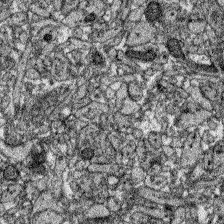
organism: Zebrafish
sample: Larval olfactory bulb